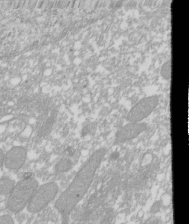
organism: Xenopus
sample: Cilia; centrioles in frog embryo cells